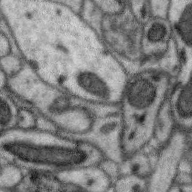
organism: Zebra finch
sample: Brain